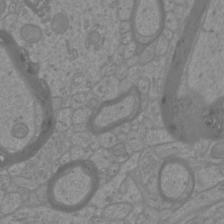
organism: Mouse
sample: Cortical neurons